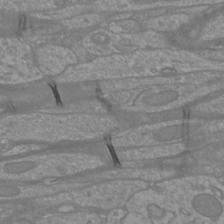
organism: Mouse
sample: Cortical neurons